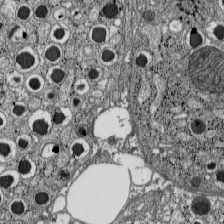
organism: C57BL Mouse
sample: Pancreatic islet